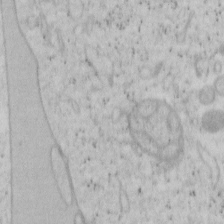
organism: Human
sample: HeLa cells